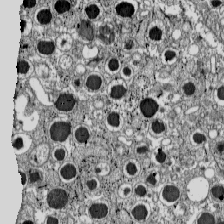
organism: C57BL Mouse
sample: Pancreatic islet